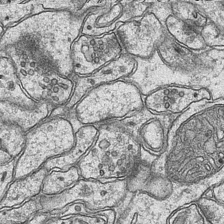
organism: Mouse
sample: CA1 Hippocampus